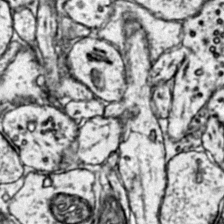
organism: Mouse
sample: Primary visual cortex